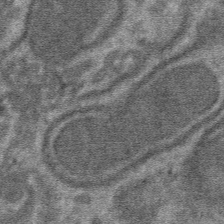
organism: Mouse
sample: Mouse hepatocytes